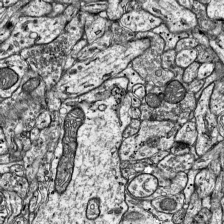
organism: Mouse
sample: Visual Cortex